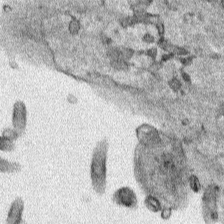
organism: Human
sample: Mitochondria in HCT116 cells